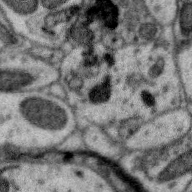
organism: Zebra finch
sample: Brain